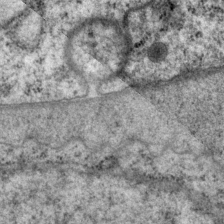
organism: P. pacificus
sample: Pharynx